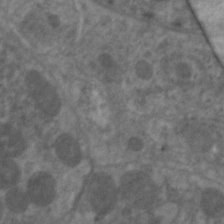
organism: C. elegans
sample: Pharynx